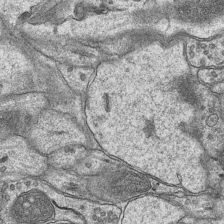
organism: Mouse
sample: CA1 Hippocampus